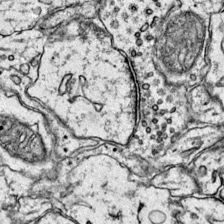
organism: Mouse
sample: Primary visual cortex